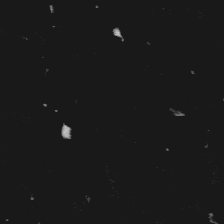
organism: Platynereis dumerilii